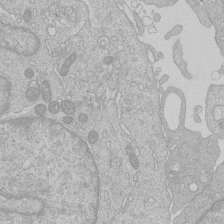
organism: Human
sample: Macrophage cells